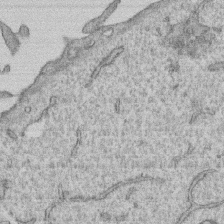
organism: Human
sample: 1205lu cells